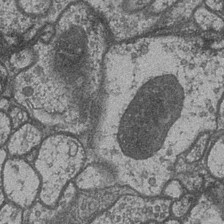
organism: Drosophila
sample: Optic medulla